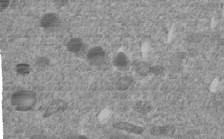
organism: C. elegans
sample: C. elegans embryo early stage